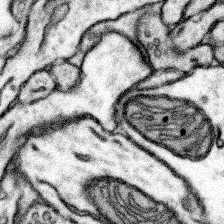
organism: Mouse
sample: Somatosensory cortex neuropil